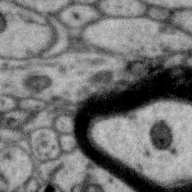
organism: Zebra finch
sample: Brain